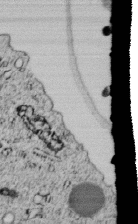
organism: C. elegans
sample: C. elegans embryo early stage